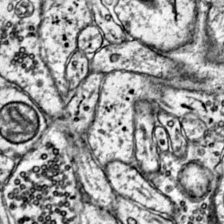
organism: Mouse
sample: Primary visual cortex